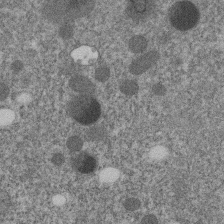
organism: C. elegans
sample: C. elegans embryo early stage